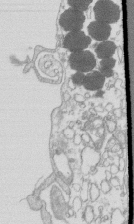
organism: Mouse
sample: Macrophages